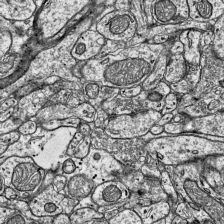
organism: Mouse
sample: Visual Cortex